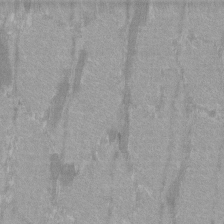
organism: C57BL Mouse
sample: Tibialis anterior muscle cell